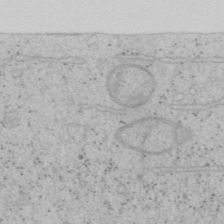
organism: Human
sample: HeLa cells